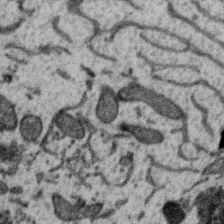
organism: Zebra finch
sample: Brain